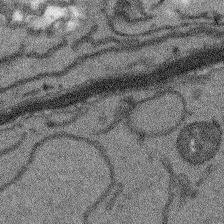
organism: Arabidopsis thaliana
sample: Root tip